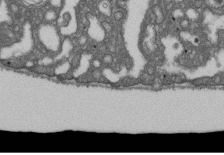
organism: Drosophila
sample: Nephrocyte